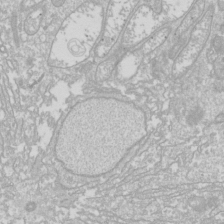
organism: Drosophila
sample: Cell division; meiosis; drosophila spermatocytes